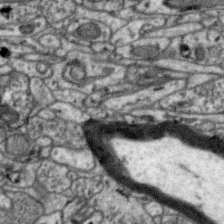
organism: Zebra finch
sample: Brain